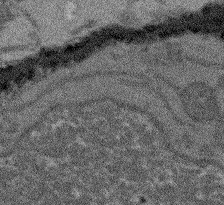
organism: Arabidopsis thaliana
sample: Root tip